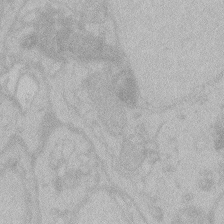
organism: Zebrafish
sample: Macrophage infected with Toxoplasma gondii